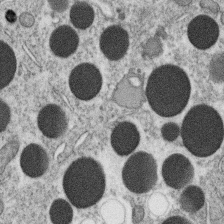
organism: C. elegans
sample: C. elegans oocyte; sperm cells